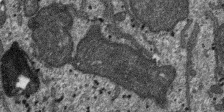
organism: Human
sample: Lung epithelial cells infected with SARS-CoV-2